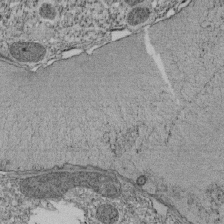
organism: Tetrahymena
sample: Cilia in tetrahymena